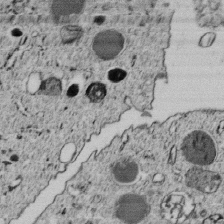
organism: C. elegans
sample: C. elegans embryo early stage